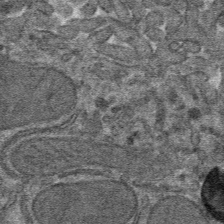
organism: Mouse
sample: Mouse hepatocytes